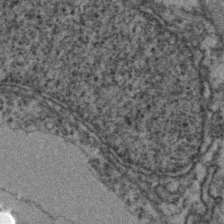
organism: Zebrafish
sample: Zebrafish embryo